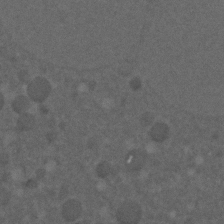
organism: C. elegans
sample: C. elegans embryo